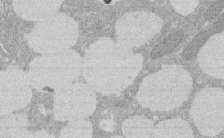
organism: Rat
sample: Salivary granule